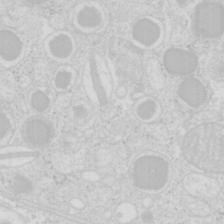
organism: Mouse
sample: Pancreas